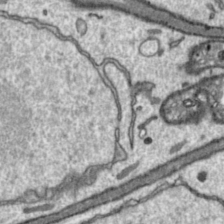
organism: Toxoplasma gondii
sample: Parasites in a vacuole inside a host cell